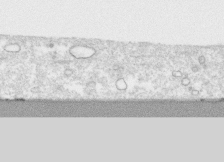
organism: Human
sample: CRL-1474